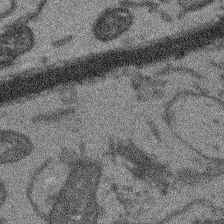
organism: Arabidopsis thaliana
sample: Root tip